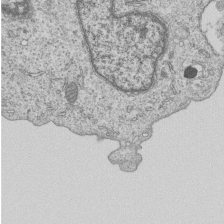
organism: Human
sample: MDA-MB-231 cells